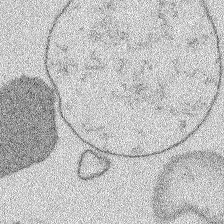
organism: Human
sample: HeLa cells